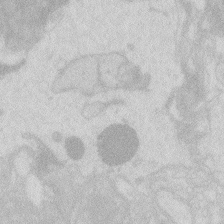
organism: Zebrafish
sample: Macrophage